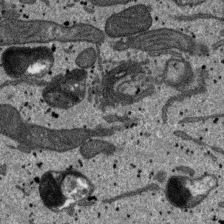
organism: Human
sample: Lung epithelial cells, uninfected (mock) control